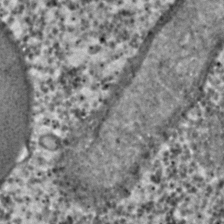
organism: C. elegans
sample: C. elegans embryo